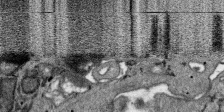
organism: Human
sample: Lung epithelial cells, uninfected (mock) control